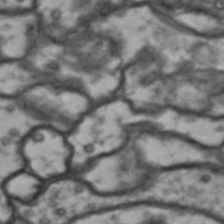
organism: Drosophila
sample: Brain